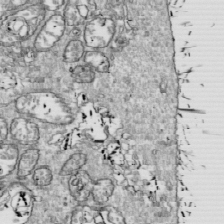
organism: Drosophila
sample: Cell division; meiosis; drosophila spermatocytes